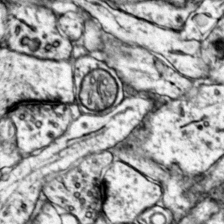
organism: Mouse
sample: Primary visual cortex